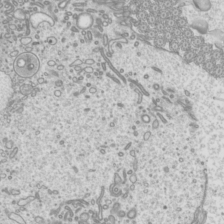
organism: Mouse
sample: Cilia; mouse epididymis